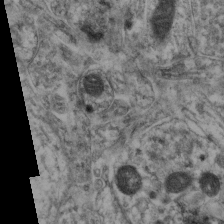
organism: Mouse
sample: Neocortex